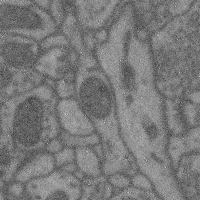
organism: Mouse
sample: Cerebral cortex